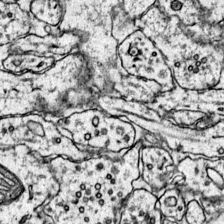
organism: Mouse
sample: Primary visual cortex